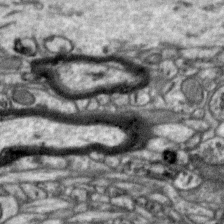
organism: Zebra finch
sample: Brain